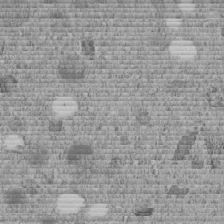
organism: C. elegans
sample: C. elegans embryo early stage